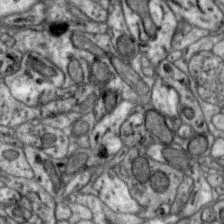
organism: Zebra finch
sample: Brain